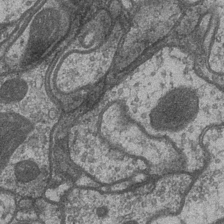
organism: Drosophila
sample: Optic medulla